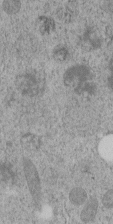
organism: C. elegans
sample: C. elegans embryo early stage